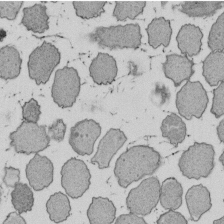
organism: E. coli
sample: Bacterial nucleoid